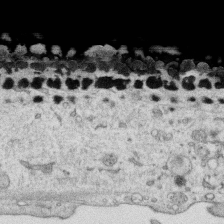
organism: Human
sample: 1205lu cells